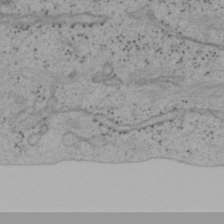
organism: Human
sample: HeLa cells